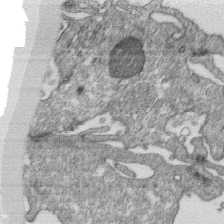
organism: African green monkey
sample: Vero E6 cells infected with SARS-CoV-2